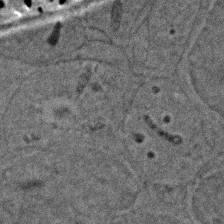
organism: Zebrafish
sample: Zebrafish embryo